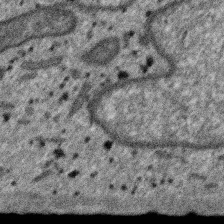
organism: Human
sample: Lung epithelial cells infected with SARS-CoV-2